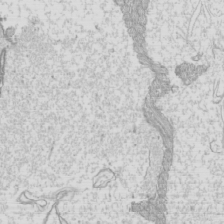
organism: Mouse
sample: Cilia; mouse epididymis